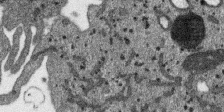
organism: Human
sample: Lung epithelial cells infected with SARS-CoV-2